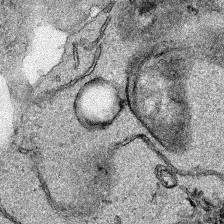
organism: Human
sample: Mitochondria in HCT116 cells